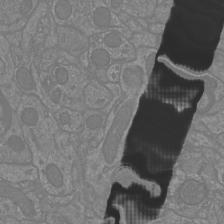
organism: Mouse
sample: Cortical neurons